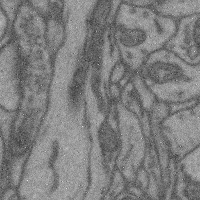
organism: Mouse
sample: Cerebral cortex